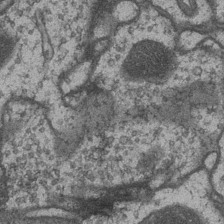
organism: Drosophila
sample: Optic medulla